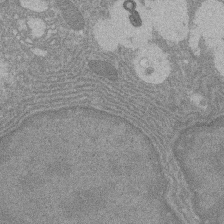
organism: Rat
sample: Salivary granule